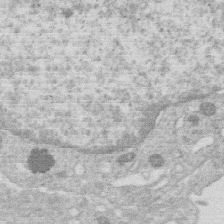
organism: Human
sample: Macrophage cells